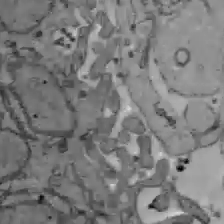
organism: C57BL Mouse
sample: Liver